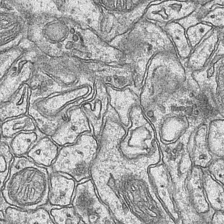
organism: Mouse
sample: CA1 Hippocampus